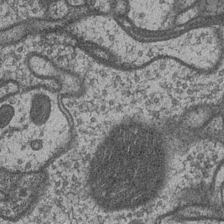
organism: Drosophila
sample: Optic medulla